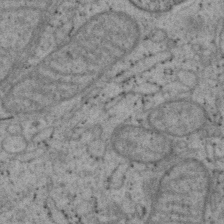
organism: Human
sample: HeLa cells